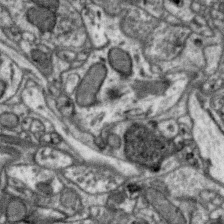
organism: Zebra finch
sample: Brain